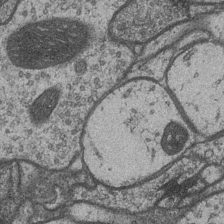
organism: Drosophila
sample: Optic medulla